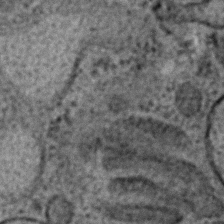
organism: C. elegans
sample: C. elegans embryo